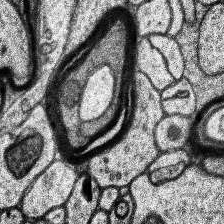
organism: Human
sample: Temporal Lobe